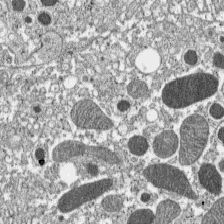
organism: C57BL Mouse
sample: Pancreatic islet